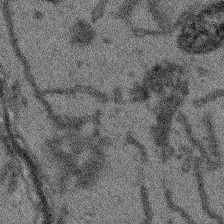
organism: Arabidopsis thaliana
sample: Root tip